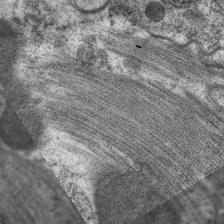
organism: C. elegans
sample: Pharynx